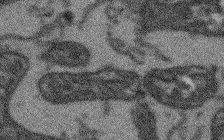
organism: Arabidopsis thaliana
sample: Root tip